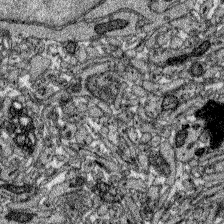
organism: Zebrafish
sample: Larval olfactory bulb